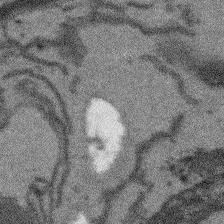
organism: Arabidopsis thaliana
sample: Root tip